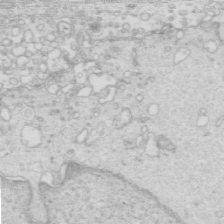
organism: Mouse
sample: Multiciliated cells